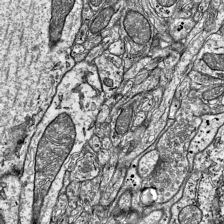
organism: Mouse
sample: Visual Cortex